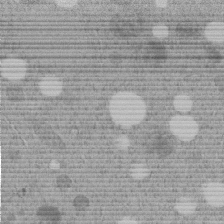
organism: C. elegans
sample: C. elegans embryo early stage